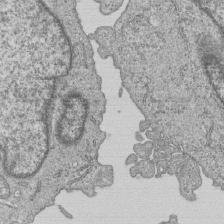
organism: Human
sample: MDA-MB-231 cells